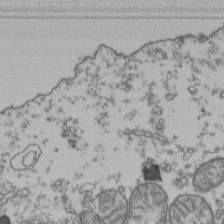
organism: Human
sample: Activated Jurkat CD4+ T cells